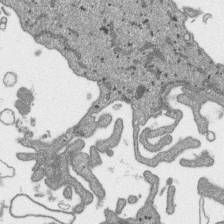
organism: Human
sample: Lung epithelial cells infected with SARS-CoV-2